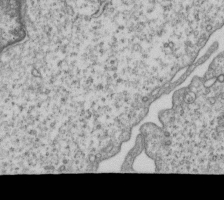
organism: Human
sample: MDA-MB-231 cells